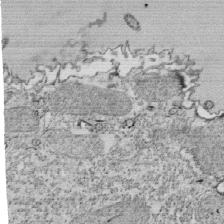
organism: Tetrahymena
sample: Cilia in tetrahymena